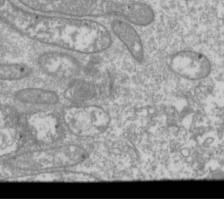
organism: Drosophila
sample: Cell division; meiosis; drosophila spermatocytes